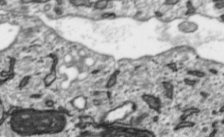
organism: Toxoplasma gondii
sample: Parasites in a vacuole inside a host cell